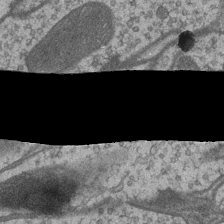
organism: Drosophila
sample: Optic medulla